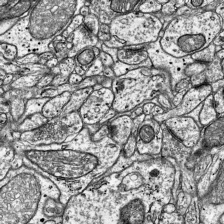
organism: Mouse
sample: Visual Cortex